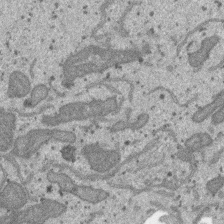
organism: Human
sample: Lung epithelial cells infected with SARS-CoV-2